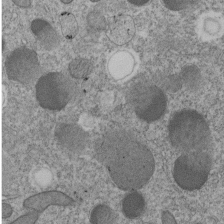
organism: C. elegans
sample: C. elegans embryo early stage